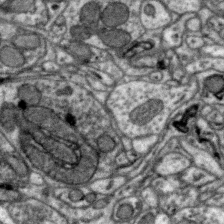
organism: Zebra finch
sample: Brain